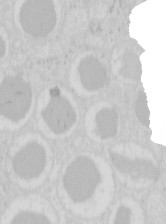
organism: Mouse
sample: Pancreas